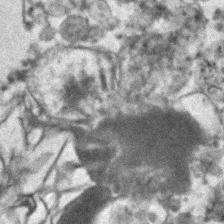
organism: Human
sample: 1205lu cells